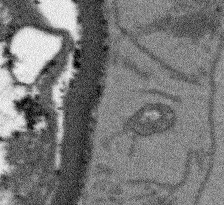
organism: Arabidopsis thaliana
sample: Root tip